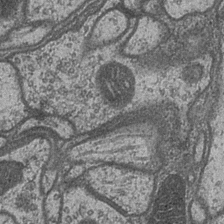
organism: Drosophila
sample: Optic medulla